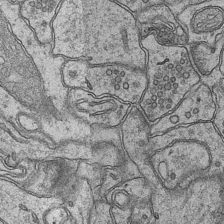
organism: Mouse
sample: CA1 Hippocampus